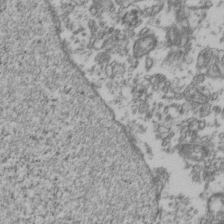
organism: Human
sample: Activated Jurkat CD4+ T cells